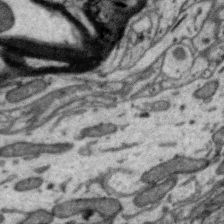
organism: Zebra finch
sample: Brain